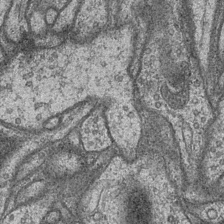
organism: Drosophila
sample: Optic medulla